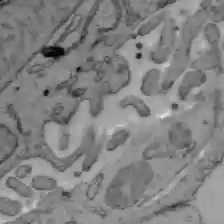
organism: C57BL Mouse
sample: Liver